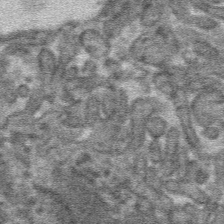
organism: Mouse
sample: Mouse hepatocytes